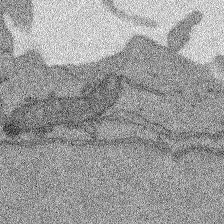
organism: Human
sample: HeLa cells